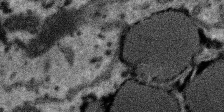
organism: Human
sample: Lung epithelial cells infected with SARS-CoV-2